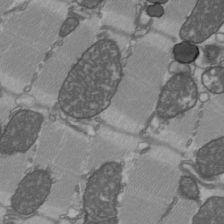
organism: C57BL Mouse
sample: Heart